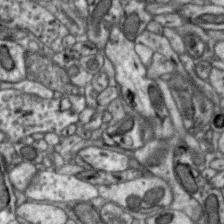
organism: Zebra finch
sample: Brain